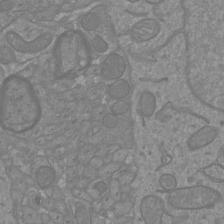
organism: Mouse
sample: Cortical neurons